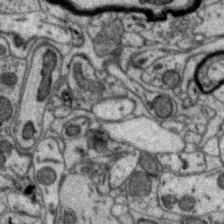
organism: Zebra finch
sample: Brain